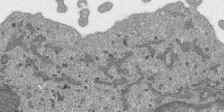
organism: Human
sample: Lung epithelial cells infected with SARS-CoV-2